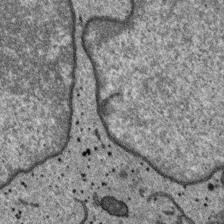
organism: Human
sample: Lung epithelial cells, uninfected (mock) control